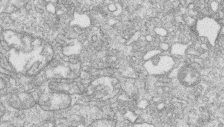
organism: Human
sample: HeLa cell HIV synapse